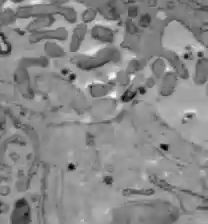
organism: C57BL Mouse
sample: Liver